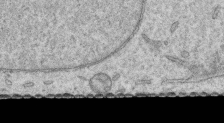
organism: Human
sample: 1205lu cells